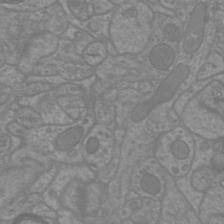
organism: Mouse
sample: Cortical neurons